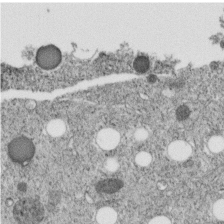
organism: C. elegans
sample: C. elegans embryo early stage